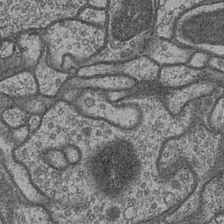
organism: Drosophila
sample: Optic medulla